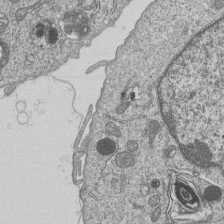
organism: Human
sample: MDA-MB-231 cells